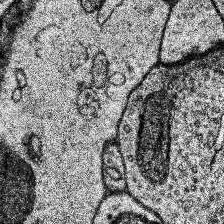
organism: Human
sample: Temporal Lobe